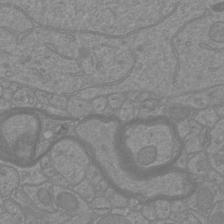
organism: Mouse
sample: Cortical neurons